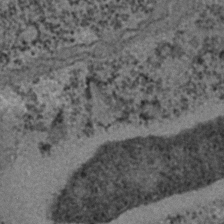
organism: C. elegans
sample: C. elegans embryo